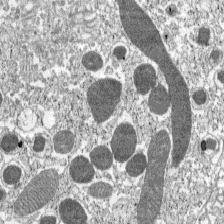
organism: C57BL Mouse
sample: Pancreatic islet